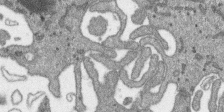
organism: Human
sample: Lung epithelial cells infected with SARS-CoV-2